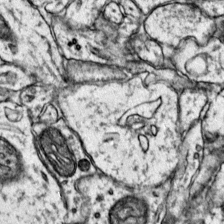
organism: Mouse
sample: Primary visual cortex